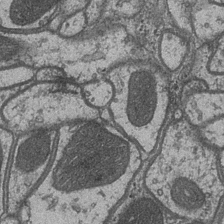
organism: Drosophila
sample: Optic medulla